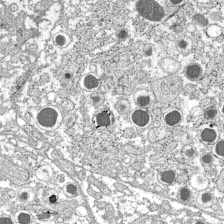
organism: C57BL Mouse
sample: Pancreatic islet